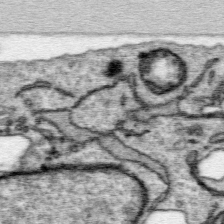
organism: Human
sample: HeLa cells